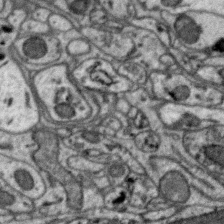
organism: Zebra finch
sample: Brain